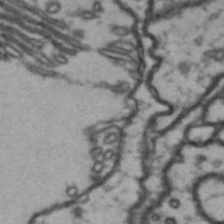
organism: Drosophila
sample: Brain